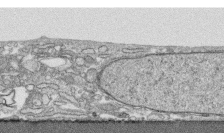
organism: Human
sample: CRL-1474